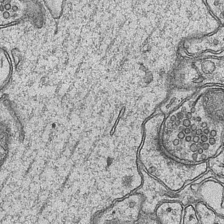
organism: Mouse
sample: CA1 Hippocampus